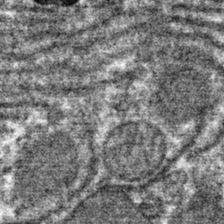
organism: Mouse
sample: Mouse hepatocytes